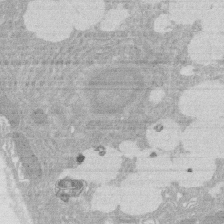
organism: Rat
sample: Salivary granule